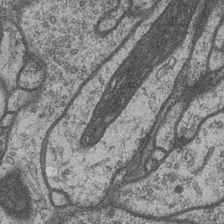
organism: Drosophila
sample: Optic medulla